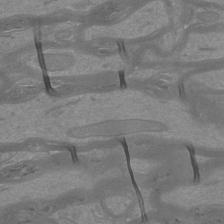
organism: Mouse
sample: Cortical neurons